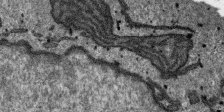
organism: Human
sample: Lung epithelial cells, uninfected (mock) control